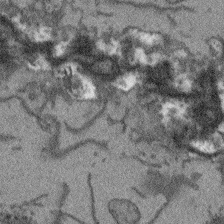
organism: Arabidopsis thaliana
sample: Root tip